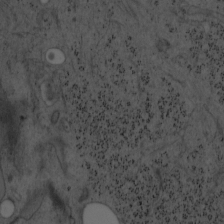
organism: Mouse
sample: OT-I killer T cells with ID8 ovarian cancer cells